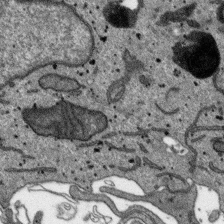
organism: Human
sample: Lung epithelial cells, uninfected (mock) control